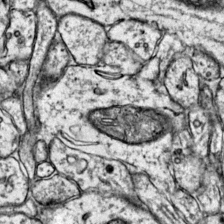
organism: Mouse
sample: Primary visual cortex